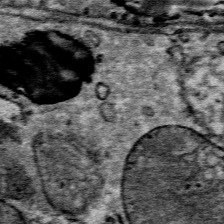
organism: Mouse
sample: Mouse Salivary gland